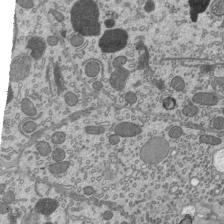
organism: Mouse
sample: Mouse epididymis efferent ductule cilia